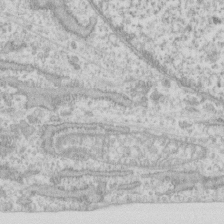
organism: Human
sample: Fibroblast cells